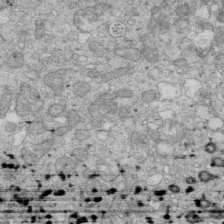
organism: Mouse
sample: Multiciliated cells